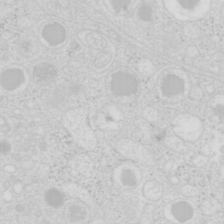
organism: Mouse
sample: Pancreas